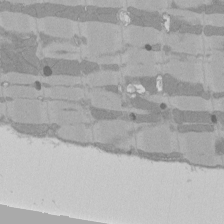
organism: Rat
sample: Left ventricle